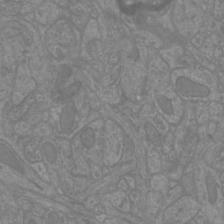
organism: Mouse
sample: Cortical neurons